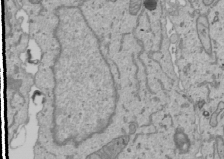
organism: Human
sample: Mitochondria in U2OS cells